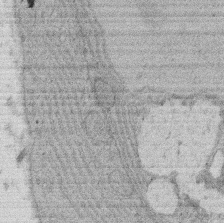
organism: Rat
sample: Salivary granule